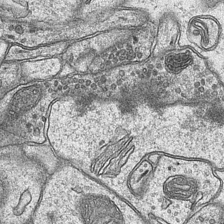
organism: Mouse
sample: CA1 Hippocampus